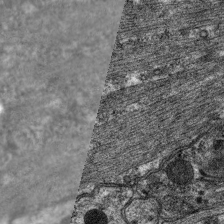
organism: C. elegans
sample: Pharynx